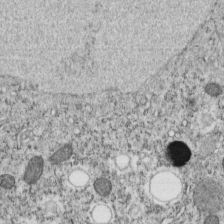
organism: C. elegans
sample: C. elegans embryo early stage